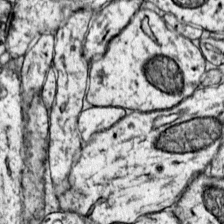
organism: Mouse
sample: Primary visual cortex